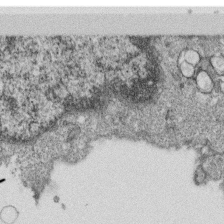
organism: African green monkey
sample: Vero E6 cells infected with SARS-CoV-2